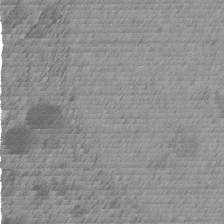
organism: C. elegans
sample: C. elegans embryo early stage